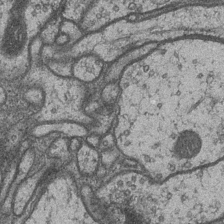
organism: Drosophila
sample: Optic medulla